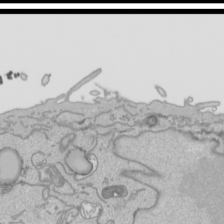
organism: Human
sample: Mitochondria in HCT116 cells